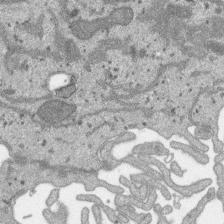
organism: Human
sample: Lung epithelial cells infected with SARS-CoV-2